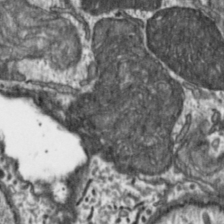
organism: Toxoplasma gondii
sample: Parasites in a vacuole inside a host cell